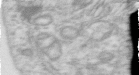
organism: Human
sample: Centriole in RPE cells